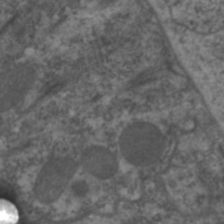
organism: C. elegans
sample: Pharynx